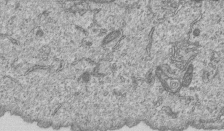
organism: Human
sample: MDA-MB-231 cells